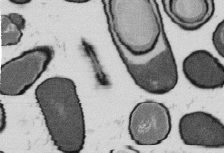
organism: B. subtilis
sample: Bacterial spore